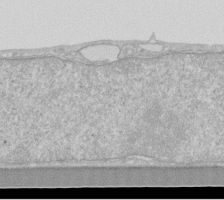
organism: Human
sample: Fibroblast cells